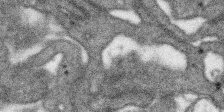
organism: Human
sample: Lung epithelial cells infected with SARS-CoV-2